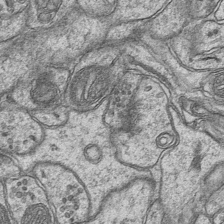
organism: Mouse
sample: CA1 Hippocampus